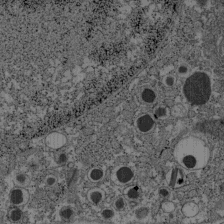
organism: C57BL Mouse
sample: Pancreatic islet